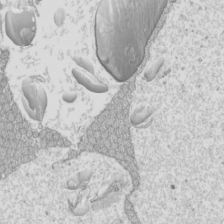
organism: Mouse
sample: Cilia; mouse epididymis